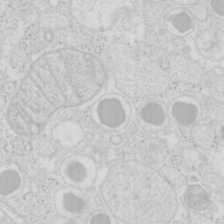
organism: Mouse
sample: Pancreas